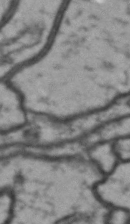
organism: Drosophila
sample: Brain